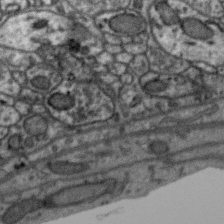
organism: Zebra finch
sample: Brain